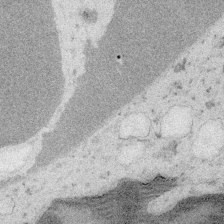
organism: Embia sp.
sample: Silk gland